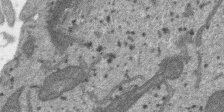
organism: Human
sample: Lung epithelial cells infected with SARS-CoV-2